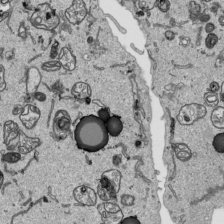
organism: Human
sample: Mitochondria in HCT116 cells